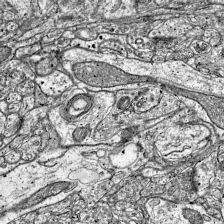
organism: Mouse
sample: Visual Cortex